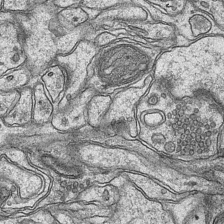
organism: Mouse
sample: CA1 Hippocampus